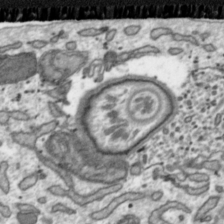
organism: Toxoplasma gondii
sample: Parasites in a vacuole inside a host cell